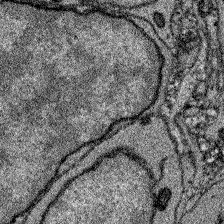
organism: Zebrafish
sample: Larval olfactory bulb